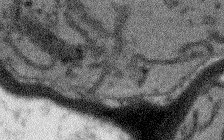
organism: Arabidopsis thaliana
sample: Root tip